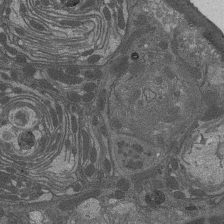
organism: Drosophila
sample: Antenna